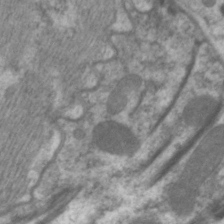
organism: C. elegans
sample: Pharynx